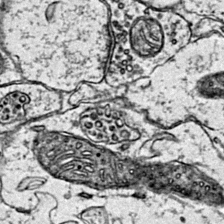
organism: Mouse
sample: Primary visual cortex